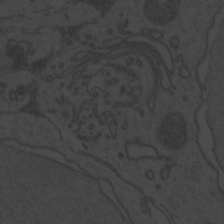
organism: Zebrafish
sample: Macrophage infected with Toxoplasma gondii